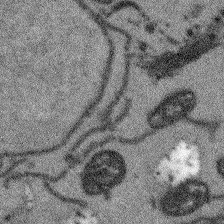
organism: Arabidopsis thaliana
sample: Root tip